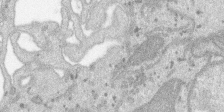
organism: Human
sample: Lung epithelial cells infected with SARS-CoV-2